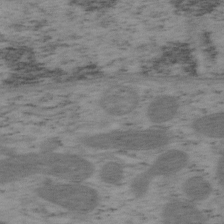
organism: Mouse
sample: OT-I killer T cells with ID8 ovarian cancer cells